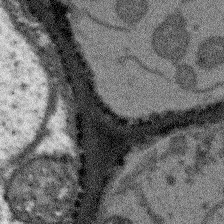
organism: Arabidopsis thaliana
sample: Root tip